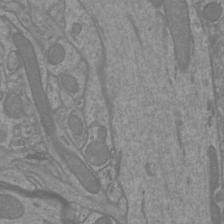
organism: Mouse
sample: Cortical neurons